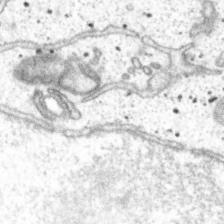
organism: Human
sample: HeLa cells